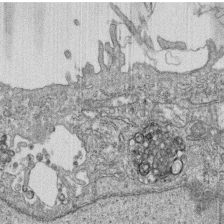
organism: Human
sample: HeLa cell HIV synapse